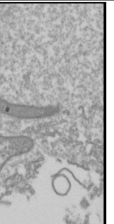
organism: Drosophila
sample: Cell division; meiosis; drosophila spermatocytes